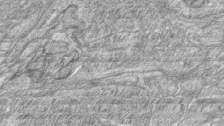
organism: Zebrafish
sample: synaptic ribbons in rod cells and cone cells